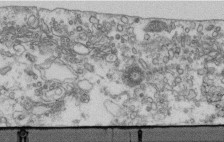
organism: Human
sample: Centriole in fibroblast cells